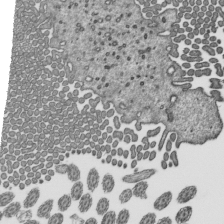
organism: Mouse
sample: Mouse epididymis efferent ductule cilia